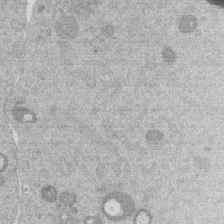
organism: Mouse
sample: Dividing mouse embryo 1 cell stage